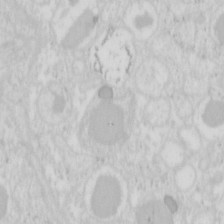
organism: Mouse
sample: Pancreas